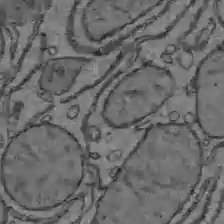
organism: C57BL Mouse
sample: Liver